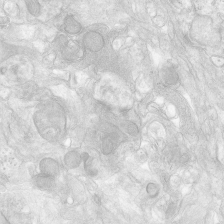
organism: Human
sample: Neocortex